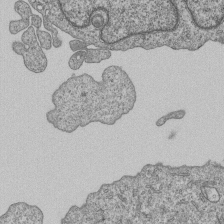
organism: Human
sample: MDA-MB-231 cells